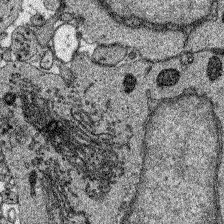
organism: Zebrafish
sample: Larval olfactory bulb